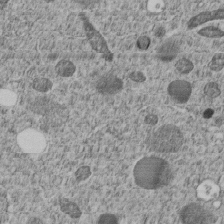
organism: C. elegans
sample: C. elegans embryo early stage